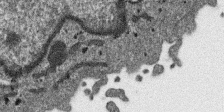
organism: Human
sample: Lung epithelial cells infected with SARS-CoV-2